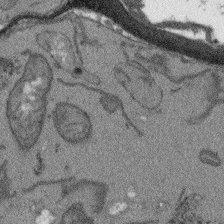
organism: Arabidopsis thaliana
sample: Root tip